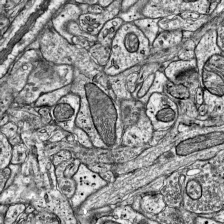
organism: Mouse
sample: Visual Cortex